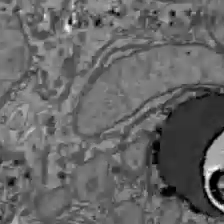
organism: C57BL Mouse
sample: Liver